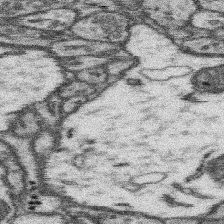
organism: Mouse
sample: Somatosensory cortex neuropil